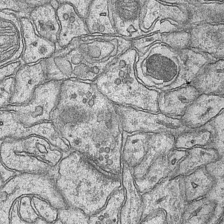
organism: Mouse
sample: CA1 Hippocampus